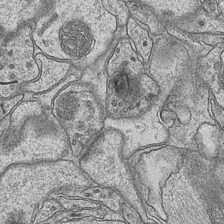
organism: Mouse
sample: CA1 Hippocampus